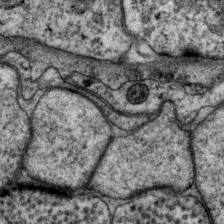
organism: P. pacificus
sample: Pharynx